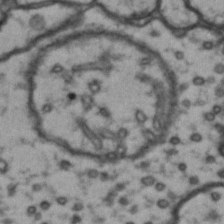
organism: Drosophila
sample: Brain